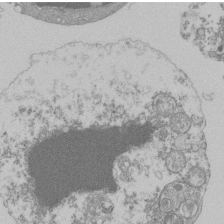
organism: Mouse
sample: Activated Pmel transgenic CD8+ T Cells